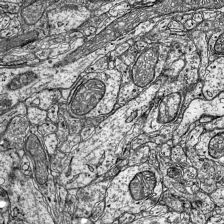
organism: Mouse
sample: Visual Cortex